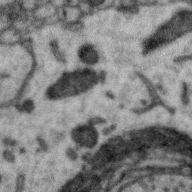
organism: Zebra finch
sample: Brain